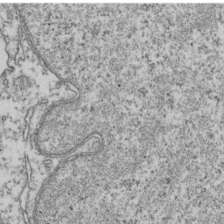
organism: Human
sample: Activated Jurkat CD4+ T cells